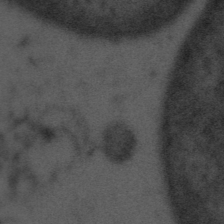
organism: Tuwongella immobilis